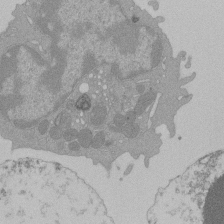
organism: Mouse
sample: Activated Pmel transgenic CD8+ T Cells